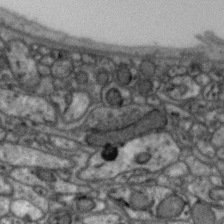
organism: Zebra finch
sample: Brain